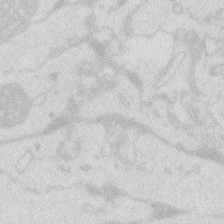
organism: Zebrafish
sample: Macrophage